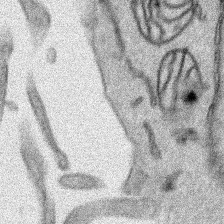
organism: Human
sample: Mitochondria in HCT116 cells